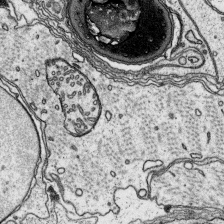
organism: Platynereis dumerilii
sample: Parapodia